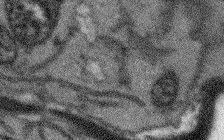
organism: Arabidopsis thaliana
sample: Root tip